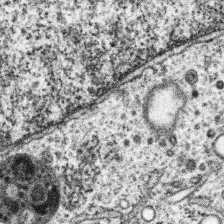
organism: Human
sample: HeLa cells